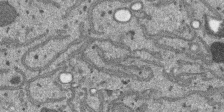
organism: Human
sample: Lung epithelial cells infected with SARS-CoV-2